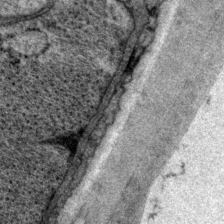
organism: P. pacificus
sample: Pharynx